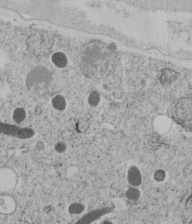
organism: C. elegans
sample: C. elegans embryo early stage